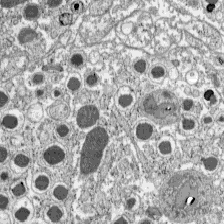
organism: C57BL Mouse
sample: Pancreatic islet